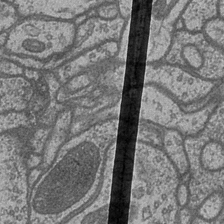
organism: Drosophila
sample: Optic medulla